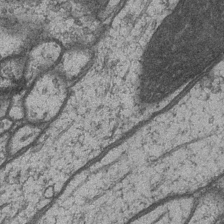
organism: Drosophila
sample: Optic medulla